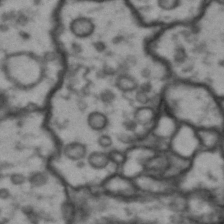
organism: Drosophila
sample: Brain